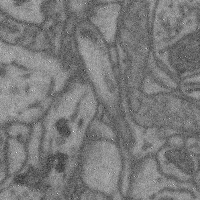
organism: Mouse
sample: Cerebral cortex